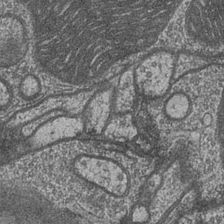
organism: Drosophila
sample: Optic medulla